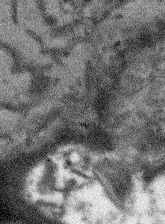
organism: Arabidopsis thaliana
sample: Root tip